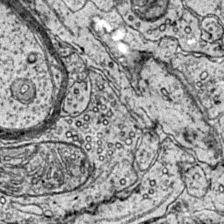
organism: Mouse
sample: Primary visual cortex